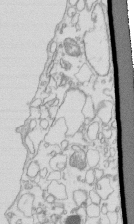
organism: Mouse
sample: Macrophages